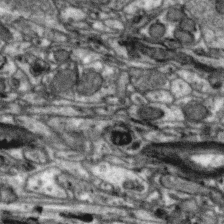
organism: Zebra finch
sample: Brain